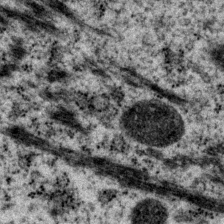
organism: P. pacificus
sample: Pharynx